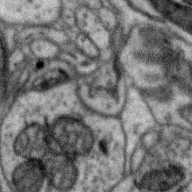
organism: Zebra finch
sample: Brain